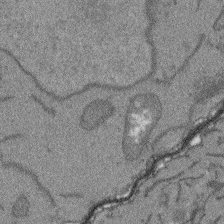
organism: Arabidopsis thaliana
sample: Root tip